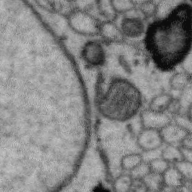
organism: Zebra finch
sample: Brain